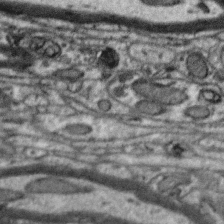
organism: Zebra finch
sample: Brain